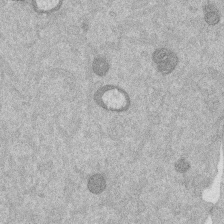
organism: Mouse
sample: Dividing mouse embryo 1 cell stage